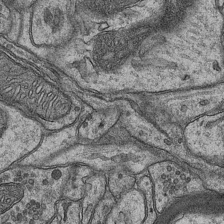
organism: Mouse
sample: CA1 Hippocampus